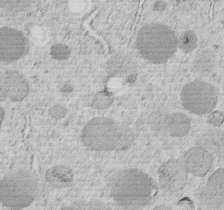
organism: C. elegans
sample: C. elegans embryo early stage